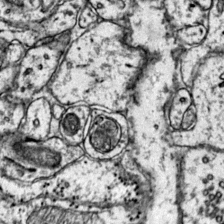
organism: Mouse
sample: Primary visual cortex